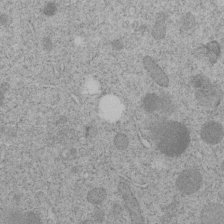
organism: C. elegans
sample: C. elegans embryo early stage